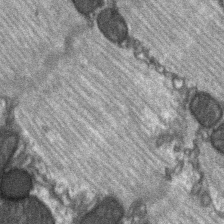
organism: C57BL Mouse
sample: Soleus